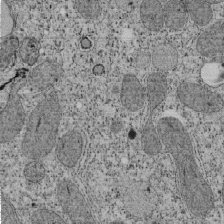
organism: Tetrahymena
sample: Cilia in tetrahymena